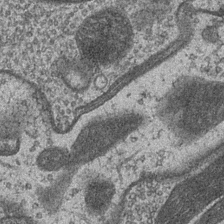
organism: Drosophila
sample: Optic medulla